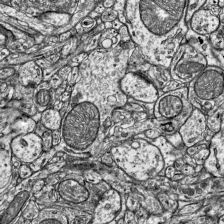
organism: Mouse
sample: Visual Cortex